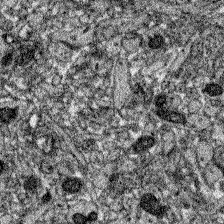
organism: Zebrafish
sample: Larval olfactory bulb